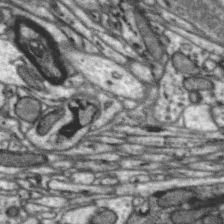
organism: Zebra finch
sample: Brain